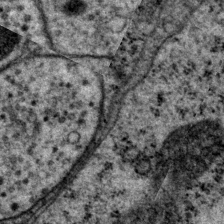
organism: P. pacificus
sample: Pharynx